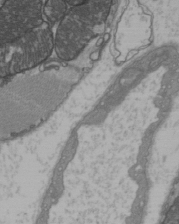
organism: C57BL Mouse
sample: Heart